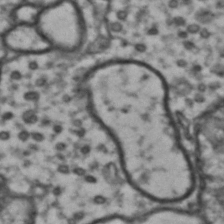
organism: Drosophila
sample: Brain